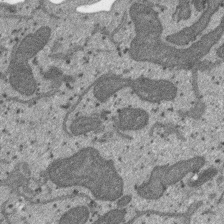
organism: Human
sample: Lung epithelial cells infected with SARS-CoV-2